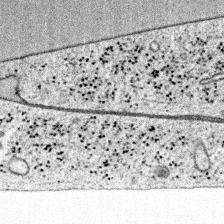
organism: Human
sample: HeLa cells